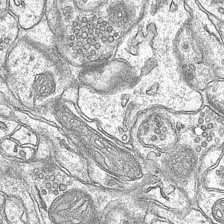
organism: Mouse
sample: CA1 Hippocampus